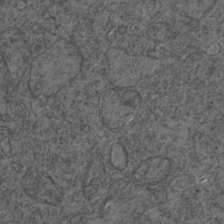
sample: Trachea